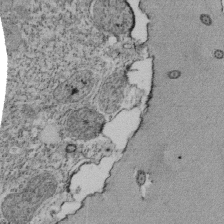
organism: Tetrahymena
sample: Cilia in tetrahymena